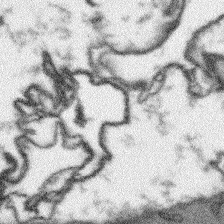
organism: Arabidopsis thaliana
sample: Root tip